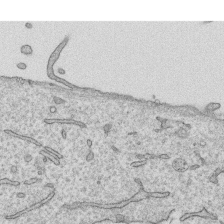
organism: Human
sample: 1205lu cells